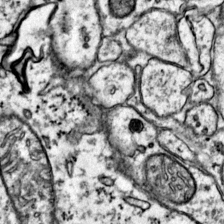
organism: Mouse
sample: Primary visual cortex